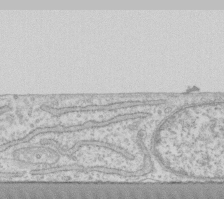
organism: Human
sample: Fibroblast cells